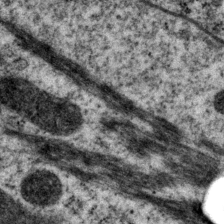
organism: P. pacificus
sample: Pharynx